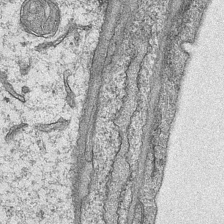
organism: Mouse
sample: CA1 Hippocampus